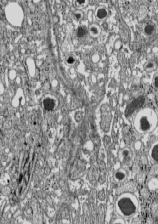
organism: C57BL Mouse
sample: Pancreatic islet